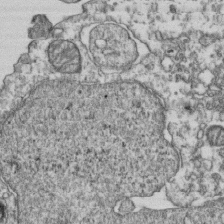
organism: Human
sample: Activated Jurkat CD4+ T cells